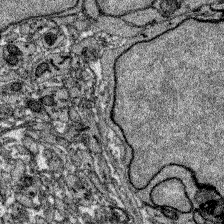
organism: Zebrafish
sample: Larval olfactory bulb